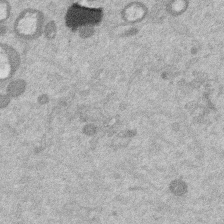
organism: Mouse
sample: Dividing mouse embryo 1 cell stage